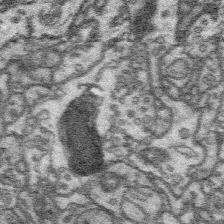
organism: Platynereis dumerilii